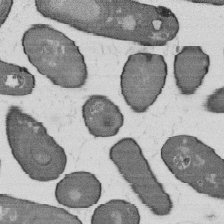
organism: B. subtilis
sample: Bacterial spore